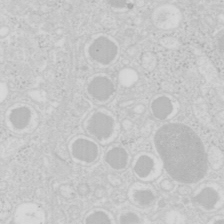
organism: Mouse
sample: Pancreas